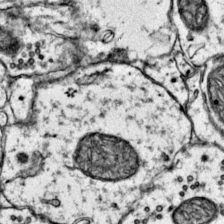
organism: Mouse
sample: Primary visual cortex